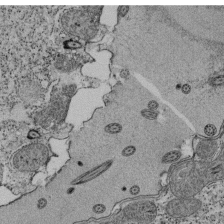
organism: Tetrahymena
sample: Cilia in tetrahymena